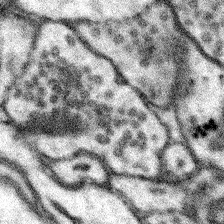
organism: Mouse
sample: Somatosensory cortex neuropil